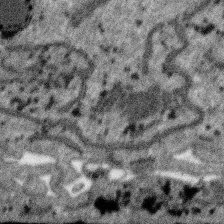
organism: Human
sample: Lung epithelial cells infected with SARS-CoV-2